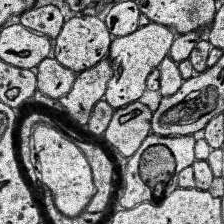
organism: Human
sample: Temporal Lobe